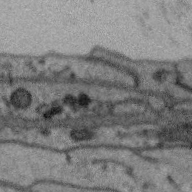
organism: Zebra finch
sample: Brain